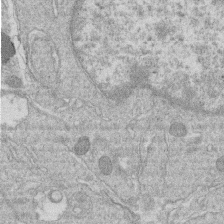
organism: Human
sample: Macrophage cells